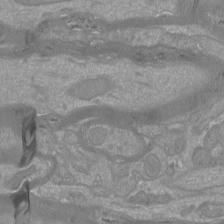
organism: Mouse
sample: Cortical neurons